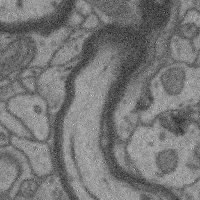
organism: Mouse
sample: Cerebral cortex